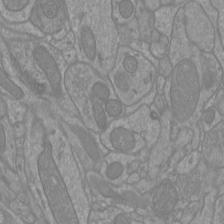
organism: Mouse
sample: Cortical neurons